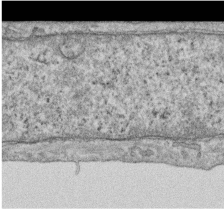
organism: Human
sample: Centriole in RPE cells